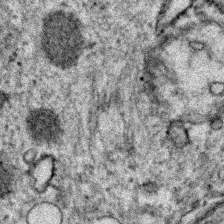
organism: Zebrafish